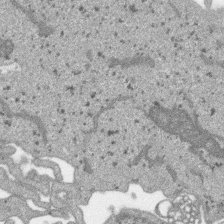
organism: Human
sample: Lung epithelial cells infected with SARS-CoV-2